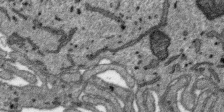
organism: Human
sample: Lung epithelial cells, uninfected (mock) control